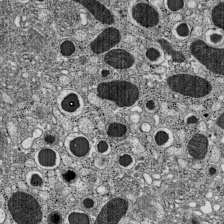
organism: C57BL Mouse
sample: Pancreatic islet